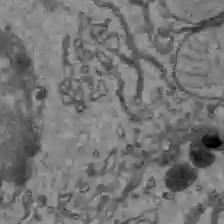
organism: C57BL Mouse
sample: Liver